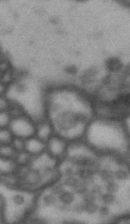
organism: Drosophila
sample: Brain